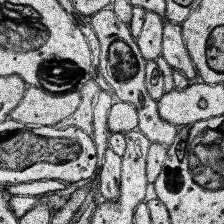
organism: Human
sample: Temporal Lobe